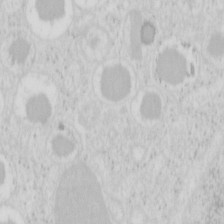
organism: Mouse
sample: Pancreas